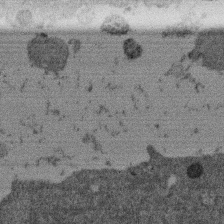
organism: Mouse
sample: Dividing mouse embryo 1 cell stage